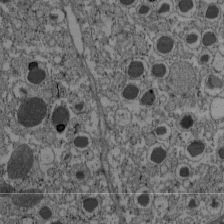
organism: C57BL Mouse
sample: Pancreatic islet